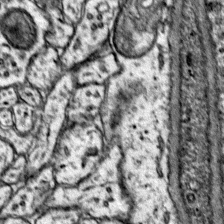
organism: Mouse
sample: Primary visual cortex